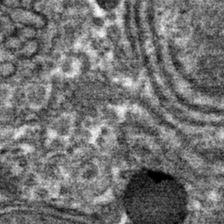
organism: Mouse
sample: Mouse hepatocytes